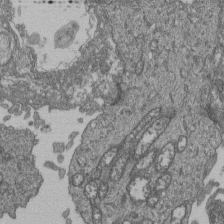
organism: Human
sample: Retinal organoid Rod and Cone cells